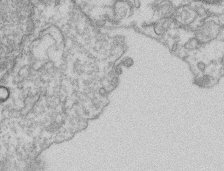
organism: Mouse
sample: T cell stromal cell synapse